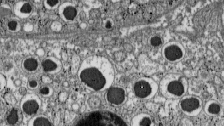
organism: C57BL Mouse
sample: Pancreatic islet